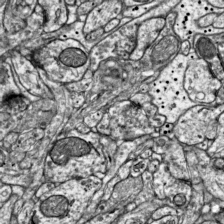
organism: Mouse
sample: Visual Cortex